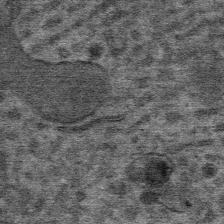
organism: Mouse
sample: Mouse Salivary gland